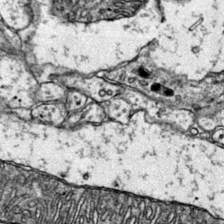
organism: Mouse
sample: Primary visual cortex